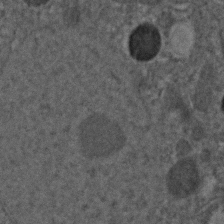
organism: C. elegans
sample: C. elegans embryo